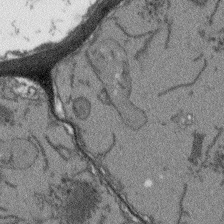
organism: Arabidopsis thaliana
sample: Root tip